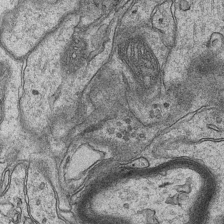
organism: Mouse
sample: CA1 Hippocampus